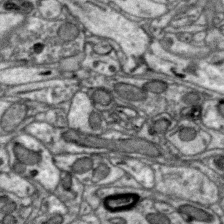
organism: Zebra finch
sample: Brain